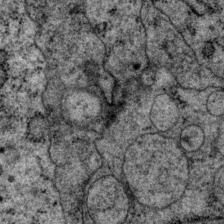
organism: P. pacificus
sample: Pharynx